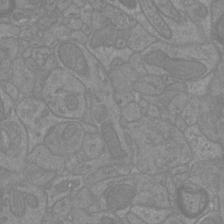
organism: Mouse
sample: Cortical neurons